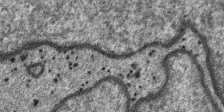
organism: Human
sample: Lung epithelial cells infected with SARS-CoV-2